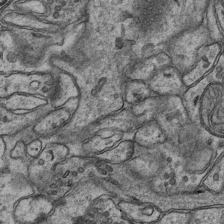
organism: Mouse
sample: CA1 Hippocampus